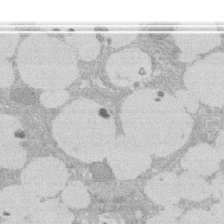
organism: Rat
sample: Salivary granule